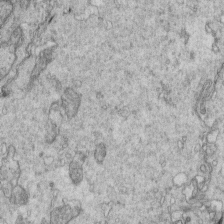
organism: Mouse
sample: Multiciliated cells